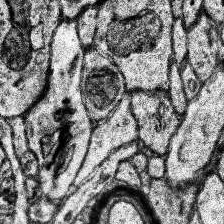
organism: Human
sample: Temporal Lobe